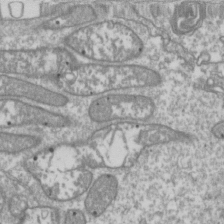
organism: Drosophila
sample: Cell division; meiosis; drosophila spermatocytes